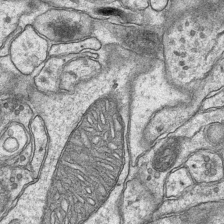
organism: Mouse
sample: CA1 Hippocampus